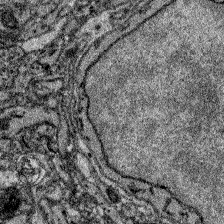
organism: Zebrafish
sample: Larval olfactory bulb